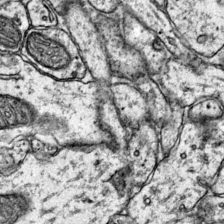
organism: Mouse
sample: Primary visual cortex